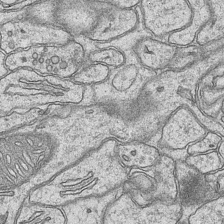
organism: Mouse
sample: CA1 Hippocampus